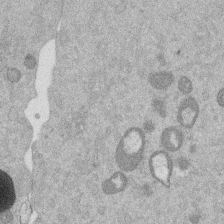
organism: Mouse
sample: Dividing mouse embryo 1 cell stage